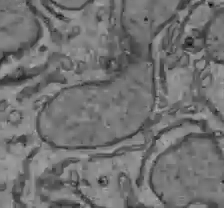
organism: C57BL Mouse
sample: Liver